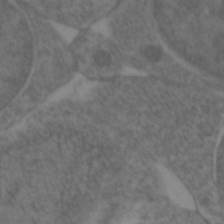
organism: Zebrafish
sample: Zebrafish embryo